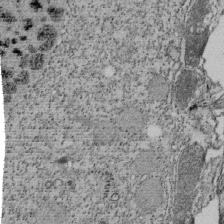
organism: Tetrahymena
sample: Cilia in tetrahymena